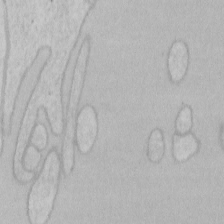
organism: Human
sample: HeLa cells